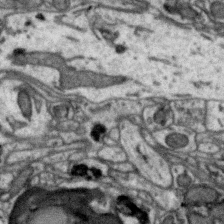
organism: Zebra finch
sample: Brain